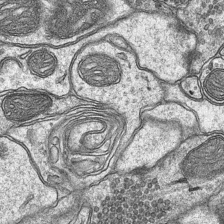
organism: Mouse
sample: CA1 Hippocampus